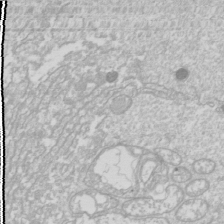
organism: Drosophila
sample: Cell division; meiosis; drosophila spermatocytes